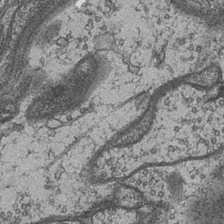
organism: Drosophila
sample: Optic medulla